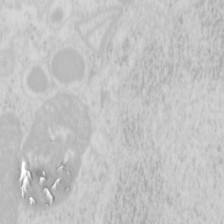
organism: Mouse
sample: Pancreas